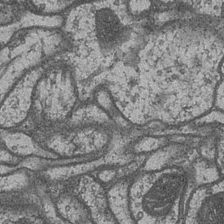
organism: Drosophila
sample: Optic medulla